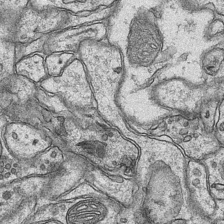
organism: Mouse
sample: CA1 Hippocampus